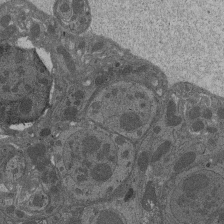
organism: Drosophila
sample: Antenna